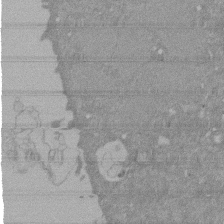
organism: Mouse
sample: ED-1 cell nuclei; centrioles